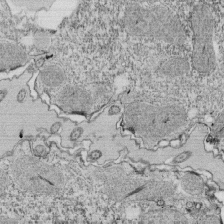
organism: Tetrahymena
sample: Cilia in tetrahymena